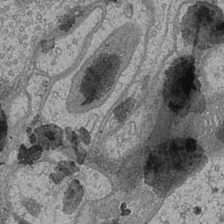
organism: Drosophila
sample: Optic medulla